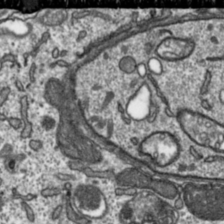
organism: Toxoplasma gondii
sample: Parasites in a vacuole inside a host cell